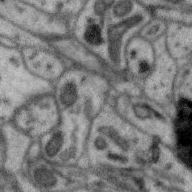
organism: Zebra finch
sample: Brain